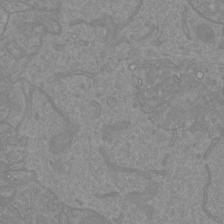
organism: Mouse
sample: Cortical neurons